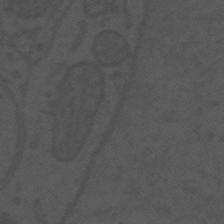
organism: Mouse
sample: Suprachiasmatic nucleus